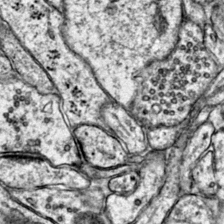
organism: Mouse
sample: Primary visual cortex